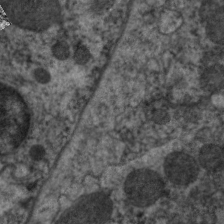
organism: C. elegans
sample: Pharynx